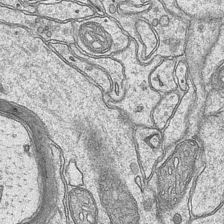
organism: Mouse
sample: CA1 Hippocampus